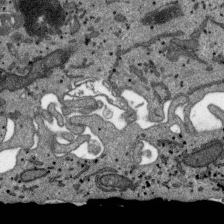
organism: Human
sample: Lung epithelial cells, uninfected (mock) control